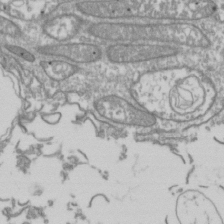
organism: Drosophila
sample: Cell division; meiosis; drosophila spermatocytes